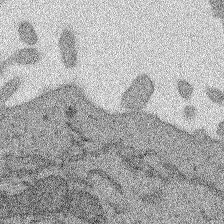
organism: Human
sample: HeLa cells